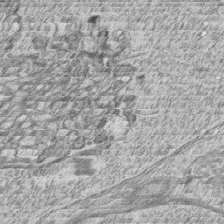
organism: Zebrafish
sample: synaptic ribbons in rod cells and cone cells